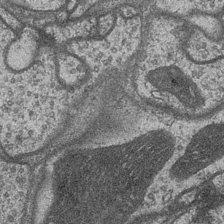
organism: Drosophila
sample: Optic medulla